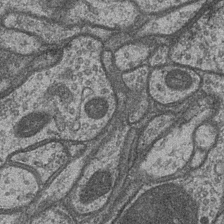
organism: Drosophila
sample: Optic medulla